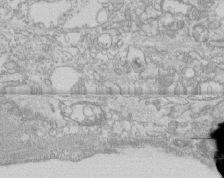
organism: Human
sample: CRL-1474